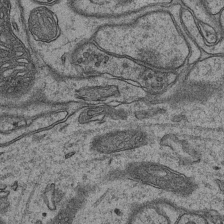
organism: Mouse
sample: CA1 Hippocampus